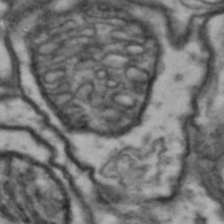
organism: Drosophila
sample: Brain